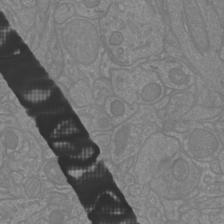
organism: Mouse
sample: Cortical neurons